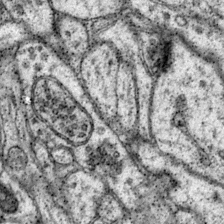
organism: Mouse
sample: Primary visual cortex